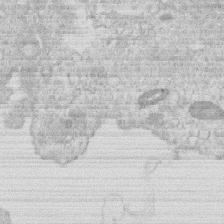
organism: Human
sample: Macrophage cells